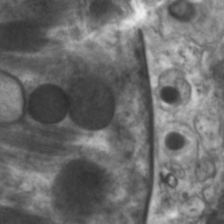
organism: C. elegans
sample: Pharynx